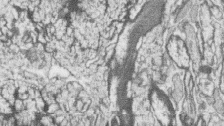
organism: Zebrafish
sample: synaptic ribbons in rod cells and cone cells